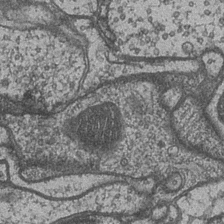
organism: Drosophila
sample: Optic medulla